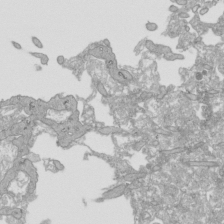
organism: Human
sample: Mitochondria in HCT116 cells